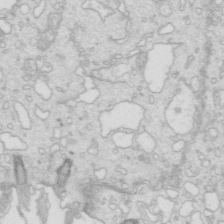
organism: Mouse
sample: Multiciliated cells